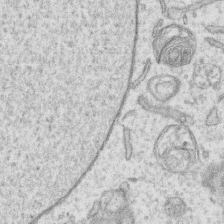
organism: Human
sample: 1205lu cells